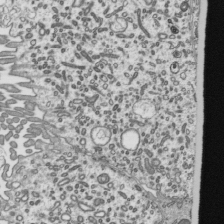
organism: Mouse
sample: Mouse epididymis efferent ductule cilia